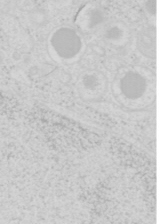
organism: Mouse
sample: Pancreas